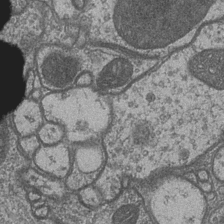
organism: Drosophila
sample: Optic medulla